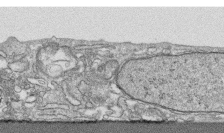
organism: Human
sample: CRL-1474